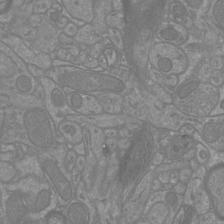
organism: Mouse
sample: Cortical neurons